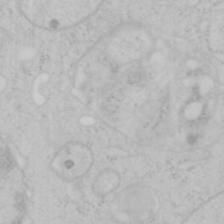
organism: Mouse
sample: OT-I killer T cells with ID8 ovarian cancer cells